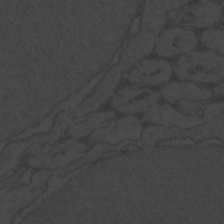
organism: Zebrafish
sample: Macrophage infected with Toxoplasma gondii